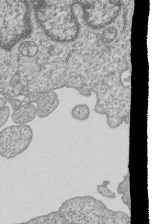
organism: Human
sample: MDA-MB-231 cells